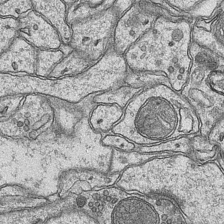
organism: Mouse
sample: CA1 Hippocampus